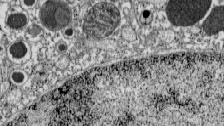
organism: C57BL Mouse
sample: Pancreatic islet